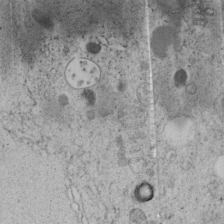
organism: C. elegans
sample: C. elegans embryo early stage